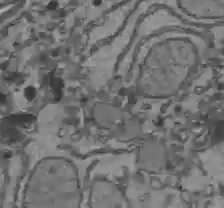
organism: C57BL Mouse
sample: Liver